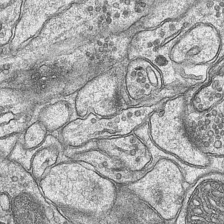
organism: Mouse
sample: CA1 Hippocampus